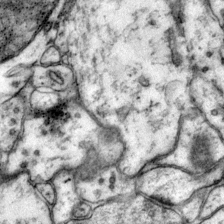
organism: Mouse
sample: Primary visual cortex